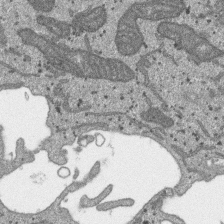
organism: Human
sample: Lung epithelial cells infected with SARS-CoV-2